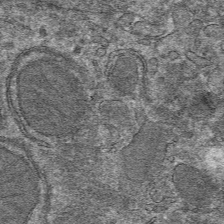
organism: Mouse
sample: Mouse hepatocytes